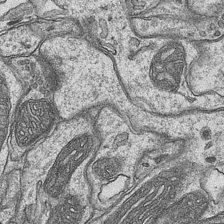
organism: Mouse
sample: CA1 Hippocampus